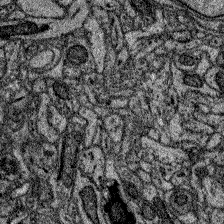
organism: Zebrafish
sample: Larval olfactory bulb